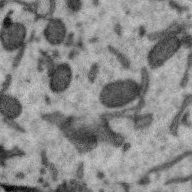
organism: Zebra finch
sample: Brain